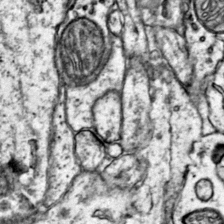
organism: Mouse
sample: Primary visual cortex